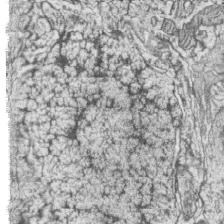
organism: Zebrafish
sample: synaptic ribbons in rod cells and cone cells